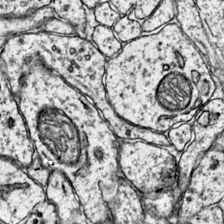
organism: Mouse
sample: Primary visual cortex